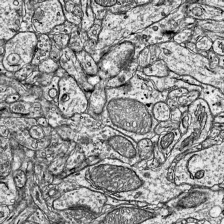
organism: Mouse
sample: Visual Cortex